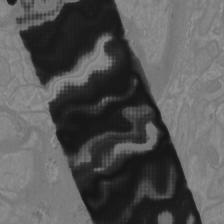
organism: Mouse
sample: Cortical neurons